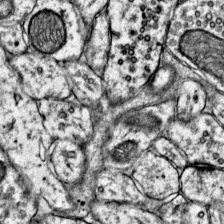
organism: Mouse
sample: Primary visual cortex